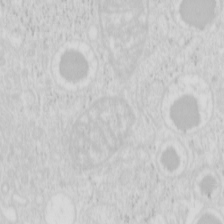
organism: Mouse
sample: Pancreas